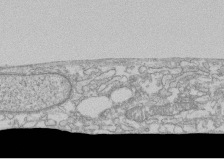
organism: Human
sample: CRL-1474